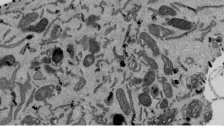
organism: Mouse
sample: ED-1 cell nuclei; centrioles